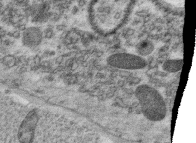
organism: C. elegans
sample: C. elegans oocyte; sperm cells